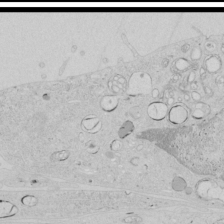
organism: Human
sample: Mitochondria in HCT116 cells